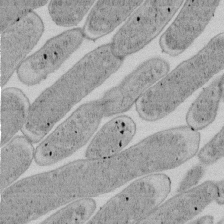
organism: E. coli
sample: Bacterial nucleoid